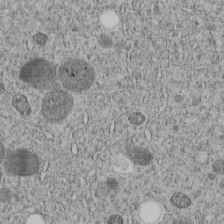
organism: C. elegans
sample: C. elegans embryo early stage